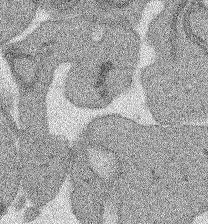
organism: Human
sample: HeLa cells